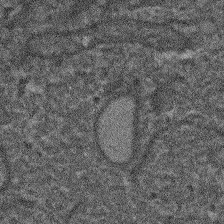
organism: Arabidopsis thaliana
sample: Root tip